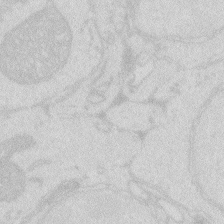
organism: Zebrafish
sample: Macrophage